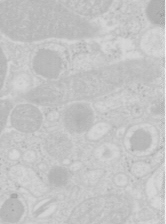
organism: Mouse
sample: Pancreas